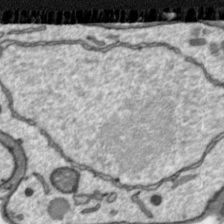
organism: Toxoplasma gondii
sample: Parasites in a vacuole inside a host cell